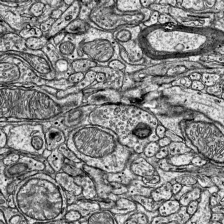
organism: Mouse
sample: Visual Cortex